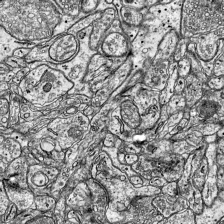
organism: Mouse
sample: Visual Cortex